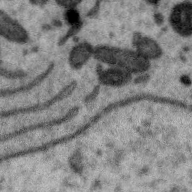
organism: Zebra finch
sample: Brain